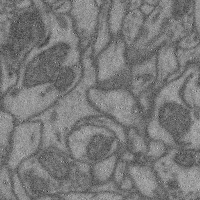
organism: Mouse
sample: Cerebral cortex